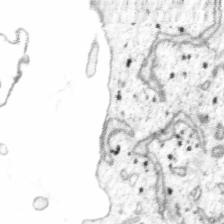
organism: Human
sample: HeLa cells